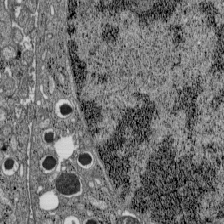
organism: C57BL Mouse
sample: Pancreatic islet